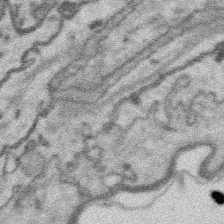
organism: Platynereis dumerilii